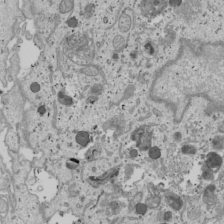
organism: Human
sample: Mitochondria in U2OS cells